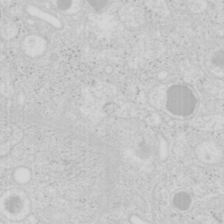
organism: Mouse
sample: Pancreas